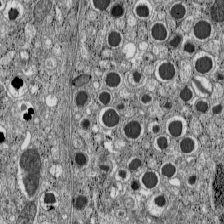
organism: C57BL Mouse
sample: Pancreatic islet